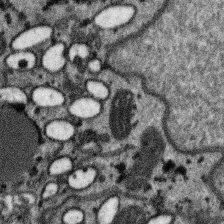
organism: Human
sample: Lung epithelial cells infected with SARS-CoV-2